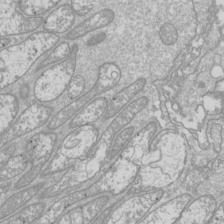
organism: Drosophila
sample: Cell division; meiosis; drosophila spermatocytes